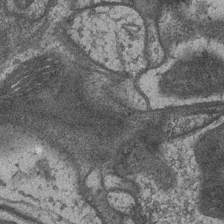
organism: Drosophila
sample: Optic medulla